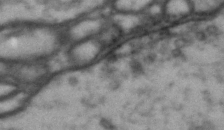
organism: Drosophila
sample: Brain